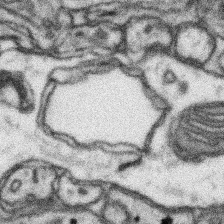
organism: Mouse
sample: Somatosensory cortex neuropil